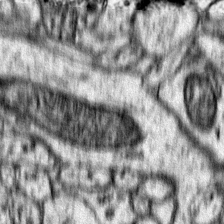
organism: Mouse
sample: Primary visual cortex